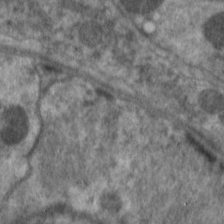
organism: C. elegans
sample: Pharynx